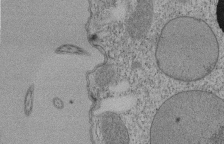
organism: Tetrahymena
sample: Cilia in tetrahymena